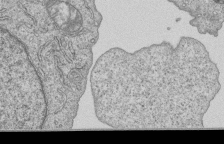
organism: Human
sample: MDA-MB-231 cells